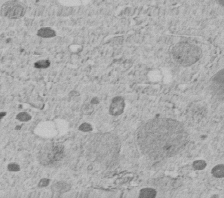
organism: C. elegans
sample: C. elegans embryo early stage